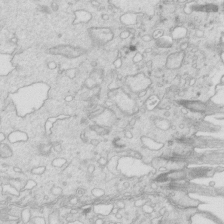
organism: Mouse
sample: Multiciliated cells